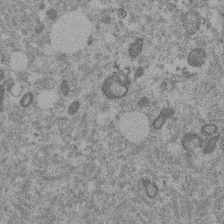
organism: Mouse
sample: Dividing mouse embryo 1 cell stage